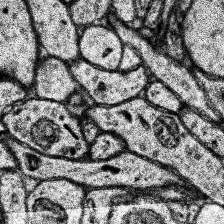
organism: Human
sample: Temporal Lobe